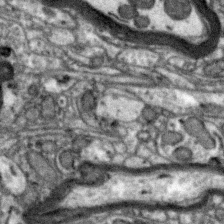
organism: Zebra finch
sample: Brain